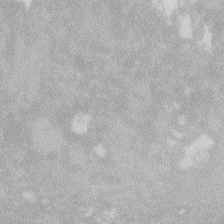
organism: Zebrafish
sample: Macrophage